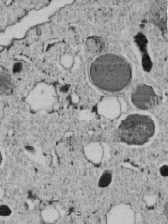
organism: C. elegans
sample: C. elegans embryo early stage